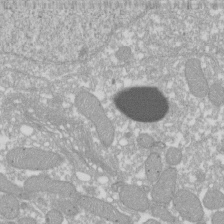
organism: Xenopus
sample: Cilia; centrioles in frog embryo cells